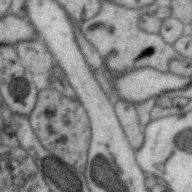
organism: Zebra finch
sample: Brain